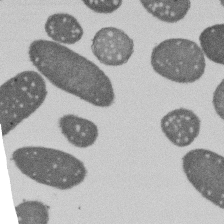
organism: E. coli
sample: Bacterial nucleoid